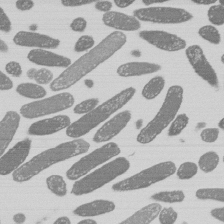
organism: E. coli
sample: Bacterial nucleoid